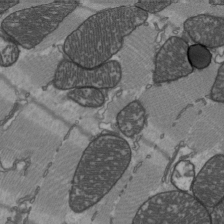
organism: C57BL Mouse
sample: Heart